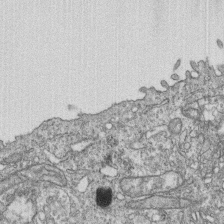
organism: Human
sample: HeLa cell HIV synapse